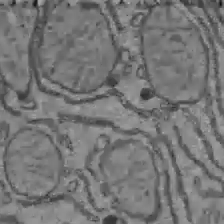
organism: C57BL Mouse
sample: Liver